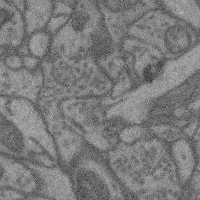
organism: Mouse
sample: Cerebral cortex